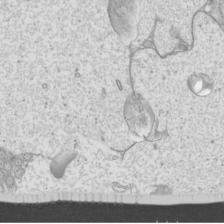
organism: Mouse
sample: Cilia; mouse epididymis